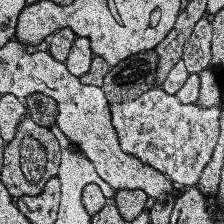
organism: Human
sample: Temporal Lobe